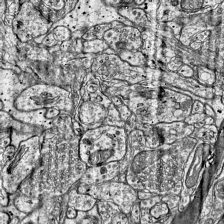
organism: Mouse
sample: Visual Cortex